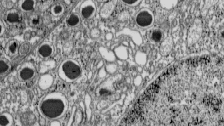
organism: C57BL Mouse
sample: Pancreatic islet